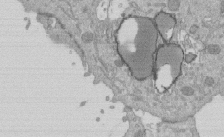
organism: Mouse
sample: ED-1 cell nuclei; centrioles